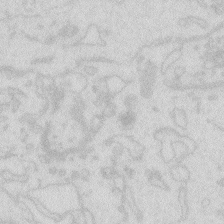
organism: Zebrafish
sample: Macrophage